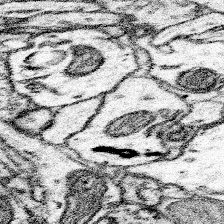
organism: Mouse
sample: Somatosensory cortex neuropil